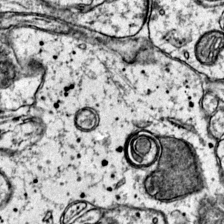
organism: Mouse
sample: Primary visual cortex